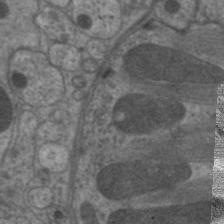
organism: C. elegans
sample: Pharynx